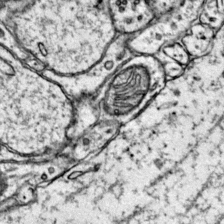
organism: Mouse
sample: Primary visual cortex